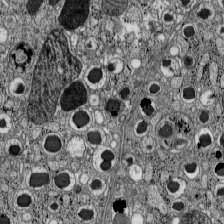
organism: C57BL Mouse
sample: Pancreatic islet